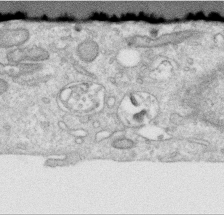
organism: Human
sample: Centriole in RPE cells